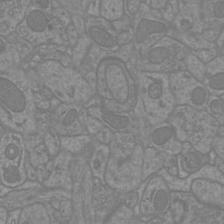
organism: Mouse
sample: Cortical neurons